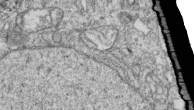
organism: Human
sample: HeLa cell HIV synapse